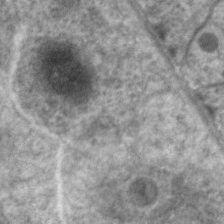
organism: C. elegans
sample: Pharynx